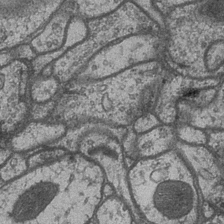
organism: Drosophila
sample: Optic medulla